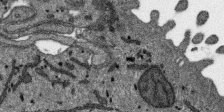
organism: Human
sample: Lung epithelial cells, uninfected (mock) control